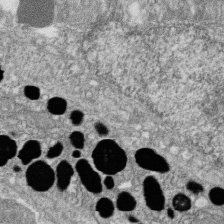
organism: Zebrafish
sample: Cilia; retinal pigment epithelium